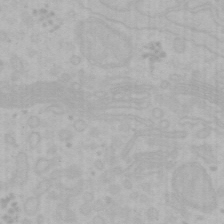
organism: Mouse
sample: Choroid plexus